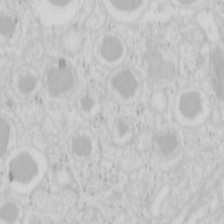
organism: Mouse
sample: Pancreas